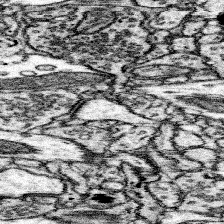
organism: Mouse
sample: Somatosensory cortex neuropil